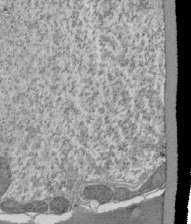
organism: Tetrahymena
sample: Cilia in tetrahymena